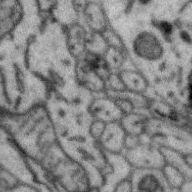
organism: Zebra finch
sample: Brain